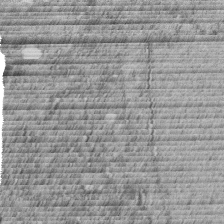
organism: C. elegans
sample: C. elegans embryo early stage